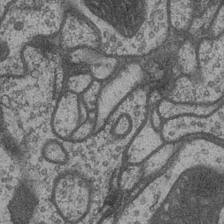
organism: Drosophila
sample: Optic medulla